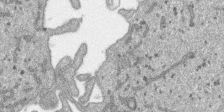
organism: Human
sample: Lung epithelial cells infected with SARS-CoV-2